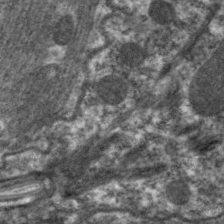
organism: C. elegans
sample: Pharynx